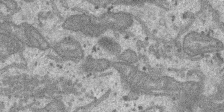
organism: Human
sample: Lung epithelial cells infected with SARS-CoV-2